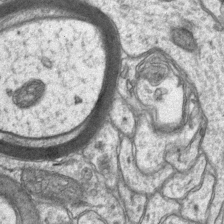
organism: Mouse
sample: CA1 Hippocampus